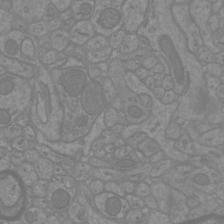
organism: Mouse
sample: Cortical neurons